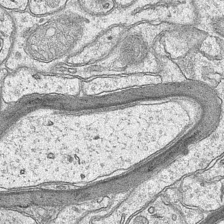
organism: Mouse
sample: CA1 Hippocampus